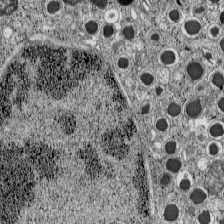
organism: C57BL Mouse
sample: Pancreatic islet